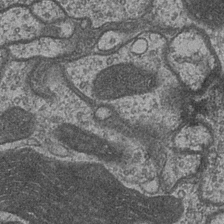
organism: Drosophila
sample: Optic medulla